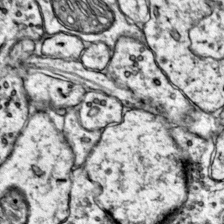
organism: Mouse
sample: Primary visual cortex